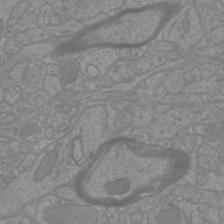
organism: Mouse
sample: Cortical neurons